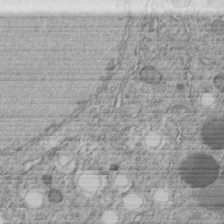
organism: C. elegans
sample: C. elegans embryo early stage